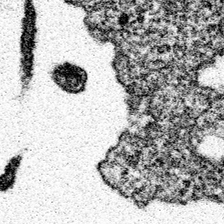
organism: Spongilla lacustris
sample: Neuroid cell